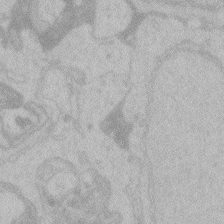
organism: Zebrafish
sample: Macrophage infected with Toxoplasma gondii